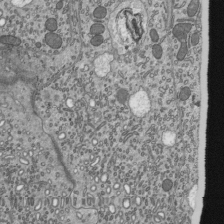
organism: Mouse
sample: Mouse epididymis efferent ductule cilia